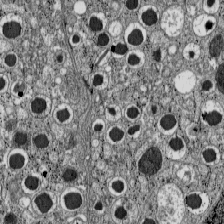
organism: C57BL Mouse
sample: Pancreatic islet